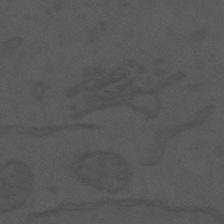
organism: Mouse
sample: Suprachiasmatic nucleus